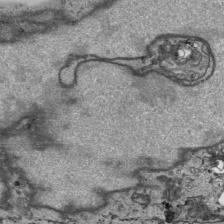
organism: Human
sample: Mitochondria in HCT116 cells